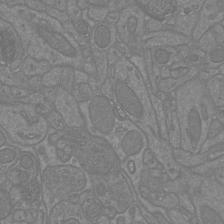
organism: Mouse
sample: Cortical neurons